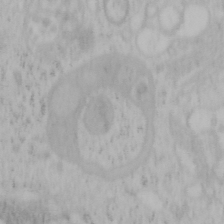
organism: Mouse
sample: OT-I killer T cells with ID8 ovarian cancer cells